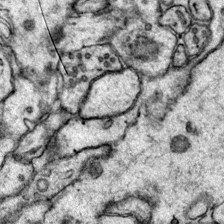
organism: Mouse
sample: Primary visual cortex